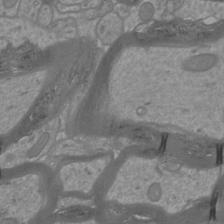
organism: Mouse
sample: Cortical neurons